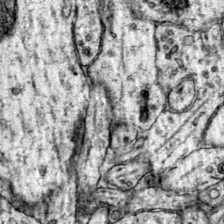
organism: Mouse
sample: Primary visual cortex